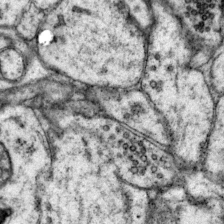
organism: Mouse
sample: Primary visual cortex